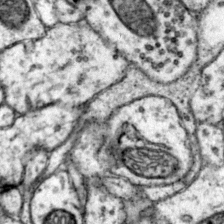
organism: Mouse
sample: Primary visual cortex